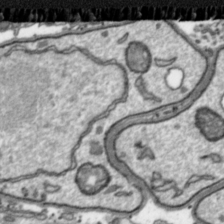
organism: Toxoplasma gondii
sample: Parasites in a vacuole inside a host cell